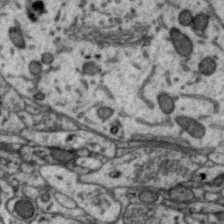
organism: Zebra finch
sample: Brain